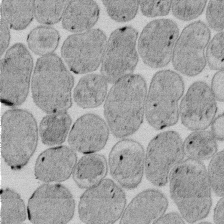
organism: E. coli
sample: Bacterial nucleoid